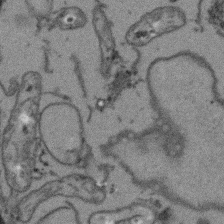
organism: Arabidopsis thaliana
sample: Root tip